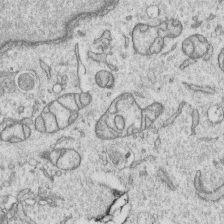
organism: Human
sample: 1205lu cells